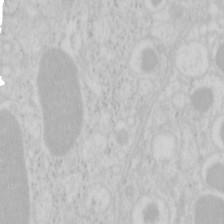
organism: Mouse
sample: Pancreas